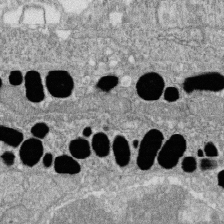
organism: Zebrafish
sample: Cilia; retinal pigment epithelium